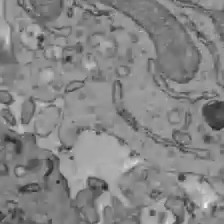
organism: C57BL Mouse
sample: Liver